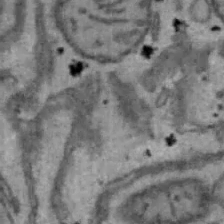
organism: Mouse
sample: Liver